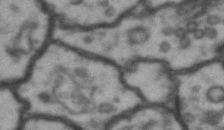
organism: Drosophila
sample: Brain